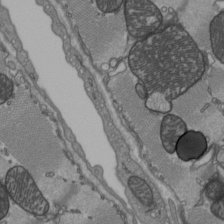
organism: C57BL Mouse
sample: Heart